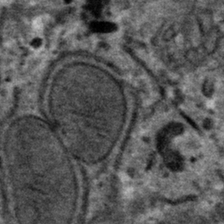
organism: Mouse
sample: Mouse hepatocytes